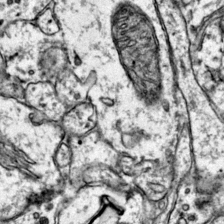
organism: Mouse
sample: Primary visual cortex